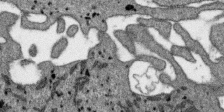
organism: Human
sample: Lung epithelial cells, uninfected (mock) control